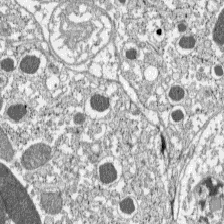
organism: C57BL Mouse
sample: Pancreatic islet